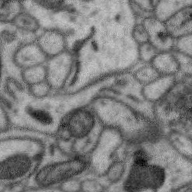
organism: Zebra finch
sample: Brain